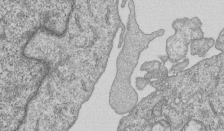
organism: Human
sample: MDA-MB-231 cells